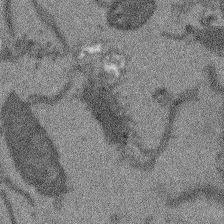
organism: Arabidopsis thaliana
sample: Root tip